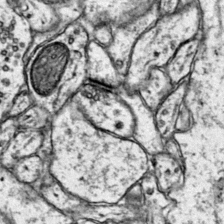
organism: Mouse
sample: Primary visual cortex